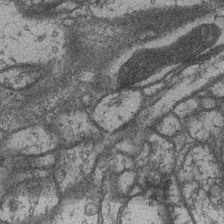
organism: Drosophila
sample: Optic medulla